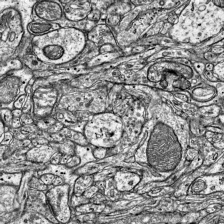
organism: Mouse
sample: Visual Cortex